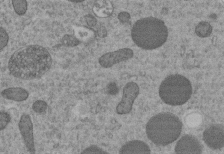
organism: C. elegans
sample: C. elegans embryo early stage